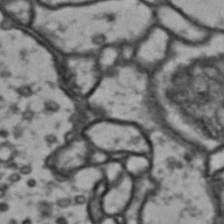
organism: Drosophila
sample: Brain